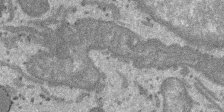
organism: Human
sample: Lung epithelial cells infected with SARS-CoV-2